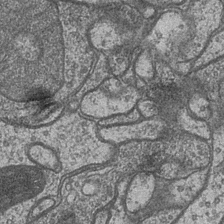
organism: Drosophila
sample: Optic medulla